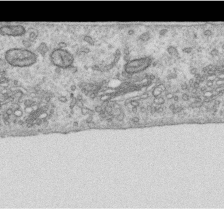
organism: Human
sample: Centriole in RPE cells